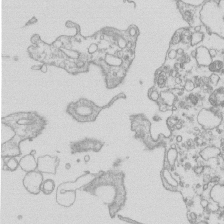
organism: Mouse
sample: Macrophages